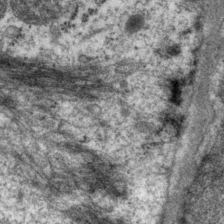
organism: P. pacificus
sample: Pharynx